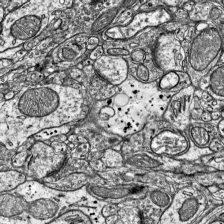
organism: Mouse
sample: Visual Cortex